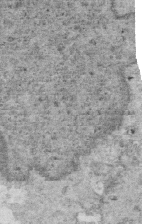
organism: Mouse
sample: Multiciliated cells